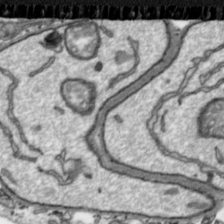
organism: Toxoplasma gondii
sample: Parasites in a vacuole inside a host cell